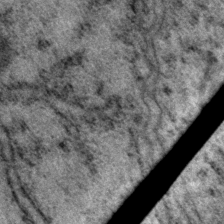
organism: P. pacificus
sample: Pharynx